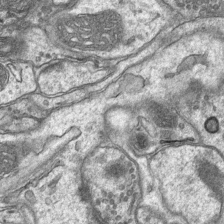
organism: Mouse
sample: CA1 Hippocampus